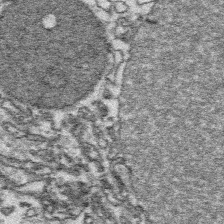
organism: Platynereis dumerilii